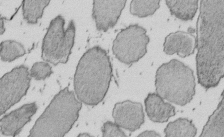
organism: E. coli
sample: Bacterial nucleoid